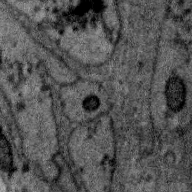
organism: Zebra finch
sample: Brain